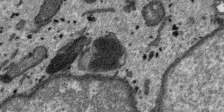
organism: Human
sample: Lung epithelial cells, uninfected (mock) control